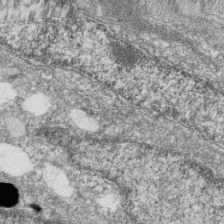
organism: Zebrafish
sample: Cilia; retinal pigment epithelium